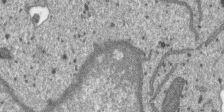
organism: Human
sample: Lung epithelial cells infected with SARS-CoV-2